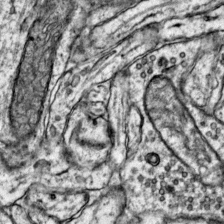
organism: Mouse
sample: Primary visual cortex